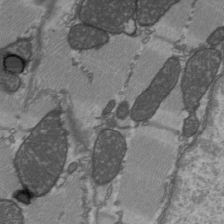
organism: C57BL Mouse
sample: Heart